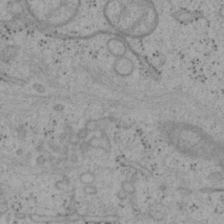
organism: Human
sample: HeLa cells